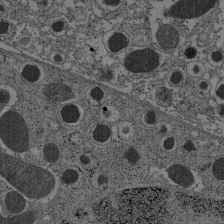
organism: C57BL Mouse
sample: Pancreatic islet